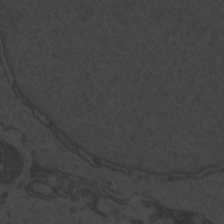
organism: Zebrafish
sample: Macrophage infected with Toxoplasma gondii